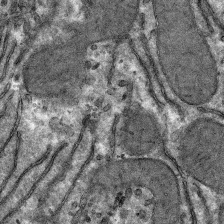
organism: Mouse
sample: Mouse hepatocytes